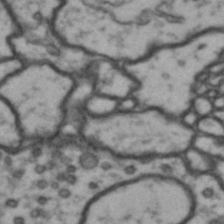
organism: Drosophila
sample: Brain